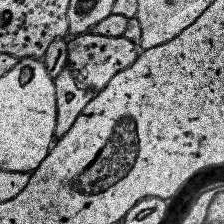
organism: Human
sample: Temporal Lobe